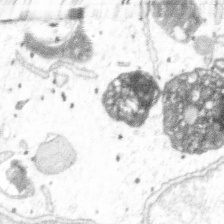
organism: Human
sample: HeLa cells